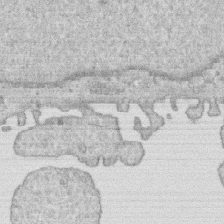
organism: Human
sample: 1205lu cells